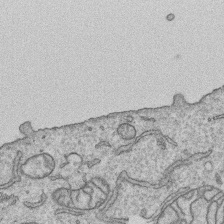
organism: Human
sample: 1205lu cells